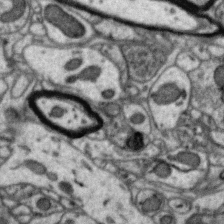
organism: Zebra finch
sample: Brain